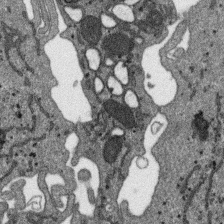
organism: Human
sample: Lung epithelial cells infected with SARS-CoV-2